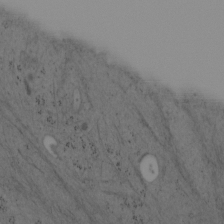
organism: Mouse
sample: OT-I killer T cells with ID8 ovarian cancer cells